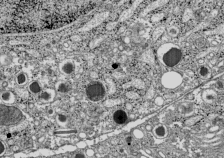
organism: C57BL Mouse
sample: Pancreatic islet